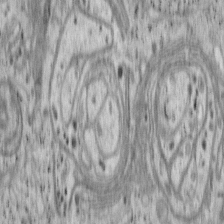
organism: Human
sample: HeLa cells